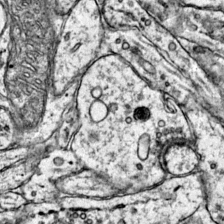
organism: Mouse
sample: Primary visual cortex